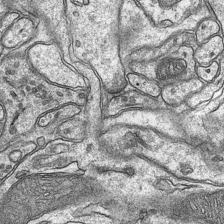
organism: Mouse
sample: CA1 Hippocampus